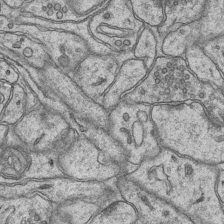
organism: Mouse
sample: CA1 Hippocampus